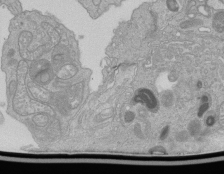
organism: Human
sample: Retinal organoid Rod and Cone cells